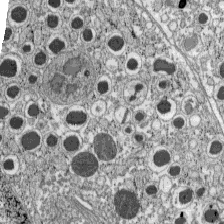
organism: C57BL Mouse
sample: Pancreatic islet